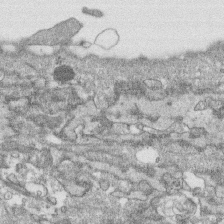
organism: Human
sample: CRL-1474